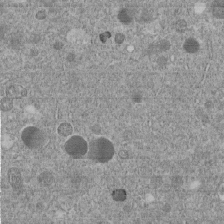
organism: C. elegans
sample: C. elegans embryo early stage